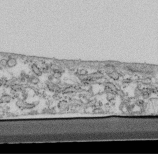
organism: Mouse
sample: Cilia; retinal pigment epithelium